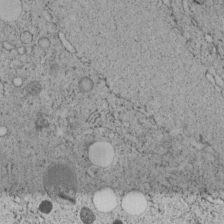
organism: C. elegans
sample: C. elegans embryo early stage